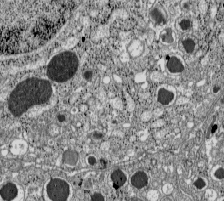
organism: C57BL Mouse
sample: Pancreatic islet